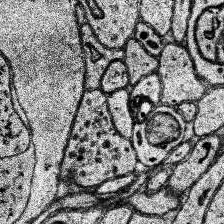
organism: Human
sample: Temporal Lobe